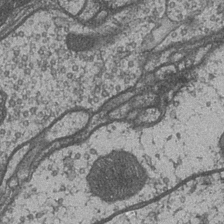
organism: Drosophila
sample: Optic medulla